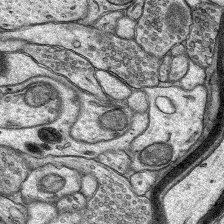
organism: Rat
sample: Hippocampus